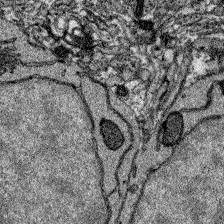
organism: Zebrafish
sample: Larval olfactory bulb